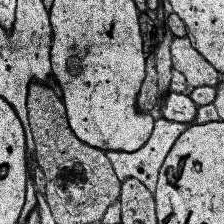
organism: Human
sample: Temporal Lobe